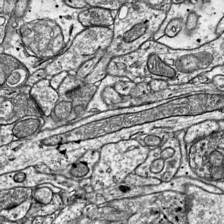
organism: Mouse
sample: Visual Cortex